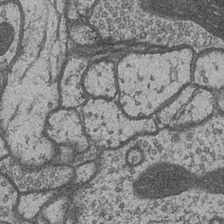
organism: Drosophila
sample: Optic medulla